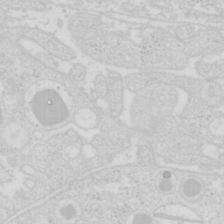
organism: Mouse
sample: Pancreas